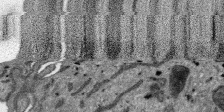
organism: Human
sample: Lung epithelial cells, uninfected (mock) control